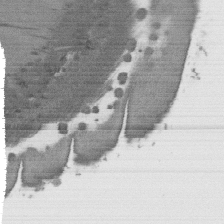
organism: C. elegans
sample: AFD neurons C. elegans